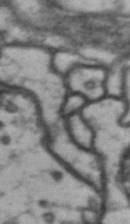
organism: Drosophila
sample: Brain